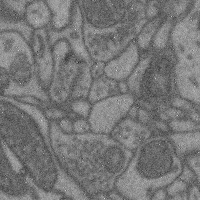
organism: Mouse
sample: Cerebral cortex